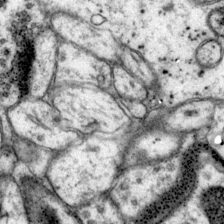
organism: Mouse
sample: Primary visual cortex